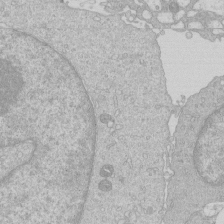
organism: Human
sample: Macrophage cells